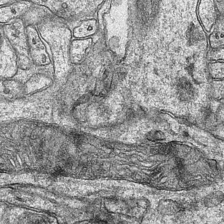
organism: Mouse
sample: CA1 Hippocampus